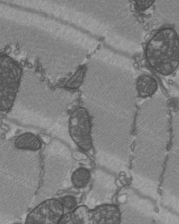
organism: C57BL Mouse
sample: Heart